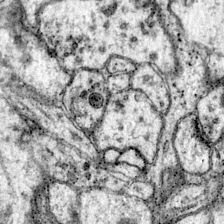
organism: Mouse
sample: Primary visual cortex